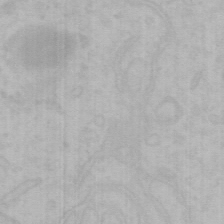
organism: Mouse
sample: Choroid plexus